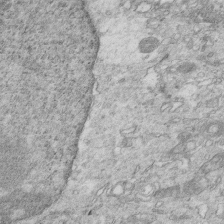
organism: Mouse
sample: Multiciliated cells